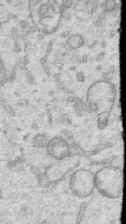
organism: Human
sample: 1205lu cells